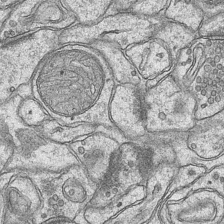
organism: Mouse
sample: CA1 Hippocampus